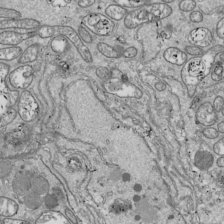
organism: Drosophila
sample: Cell division; meiosis; drosophila spermatocytes